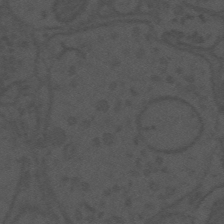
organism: Mouse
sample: Suprachiasmatic nucleus